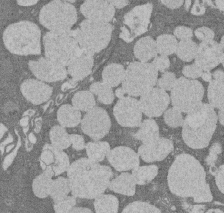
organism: Rat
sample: Salivary granule